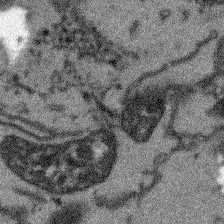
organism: Arabidopsis thaliana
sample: Root tip